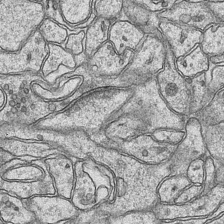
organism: Mouse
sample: CA1 Hippocampus